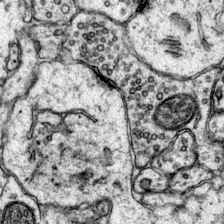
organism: Mouse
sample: Primary visual cortex